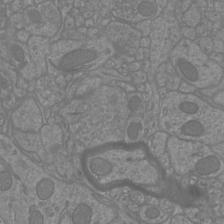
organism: Mouse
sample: Cortical neurons